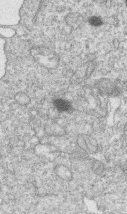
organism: Human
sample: HeLa cell HIV synapse